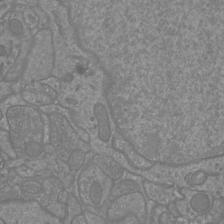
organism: Mouse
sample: Cortical neurons